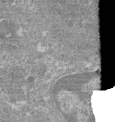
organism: Mouse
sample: Glomerulus